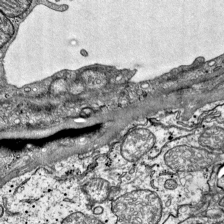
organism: Mouse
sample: Visual Cortex